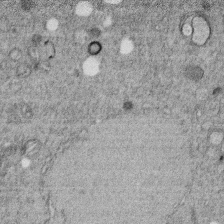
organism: C. elegans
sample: C. elegans embryo early stage